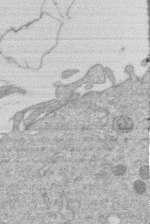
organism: Human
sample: Macrophage cells